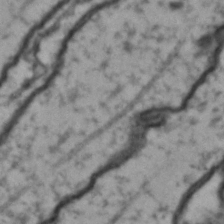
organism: Drosophila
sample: Brain